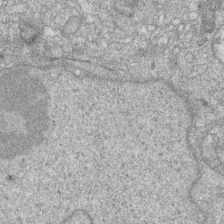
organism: Human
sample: HeLa cell HIV synapse